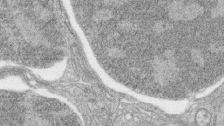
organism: Zebrafish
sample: synaptic ribbons in rod cells and cone cells